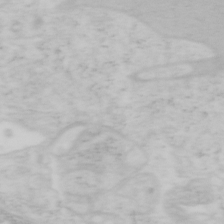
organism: Mouse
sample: OT-I killer T cells with ID8 ovarian cancer cells